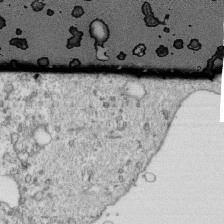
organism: Mouse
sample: Activated OT-1 CD8+ T cells